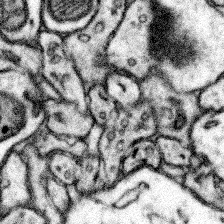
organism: Mouse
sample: Somatosensory cortex neuropil